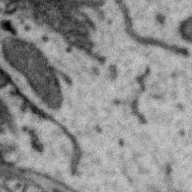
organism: Zebra finch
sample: Brain